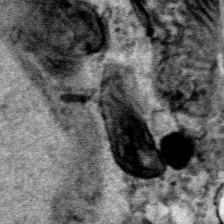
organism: Human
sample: Mitochondria in HCT116 cells